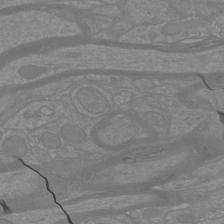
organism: Mouse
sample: Cortical neurons